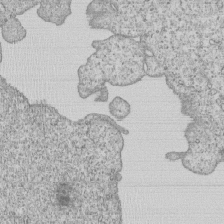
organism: Human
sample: MDA-MB-231 cells